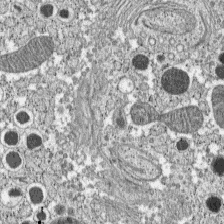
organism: C57BL Mouse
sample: Pancreatic islet